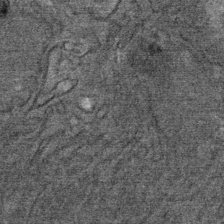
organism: Mouse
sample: Mouse Salivary gland